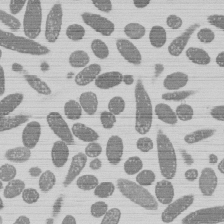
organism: E. coli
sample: Bacterial nucleoid